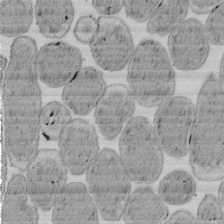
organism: E. coli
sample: Bacterial nucleoid